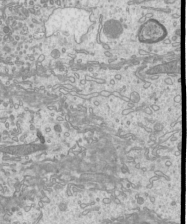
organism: Mouse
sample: Cilia; mouse epididymis